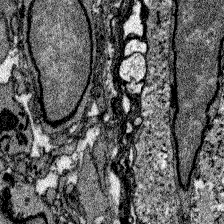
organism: Zebrafish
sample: Larval olfactory bulb